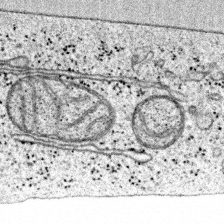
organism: Human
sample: HeLa cells